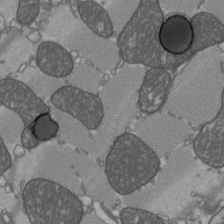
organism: C57BL Mouse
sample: Heart